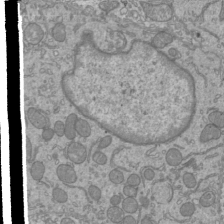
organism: Mouse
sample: Cilia; mouse epididymis